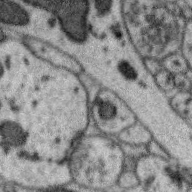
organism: Zebra finch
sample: Brain